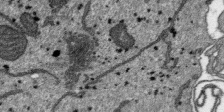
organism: Human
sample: Lung epithelial cells, uninfected (mock) control